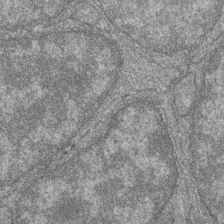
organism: Zebrafish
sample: Cilia; retinal pigment epithelium